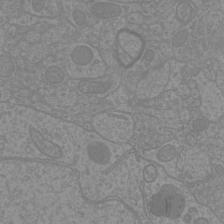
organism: Mouse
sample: Cortical neurons